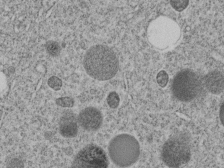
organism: C. elegans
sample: C. elegans embryo early stage